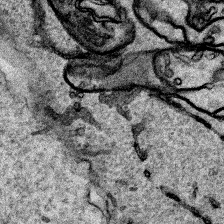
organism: Human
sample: Mitochondria in HCT116 cells